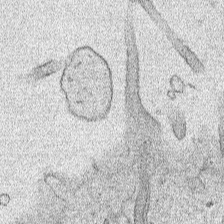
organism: Human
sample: Mitochondria in HCT116 cells